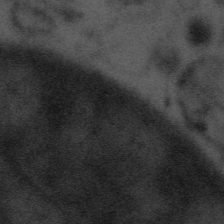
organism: Tuwongella immobilis